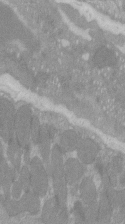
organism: C57BL Mouse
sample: Tibialis anterior muscle cell